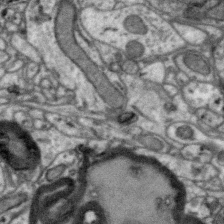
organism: Zebra finch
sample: Brain